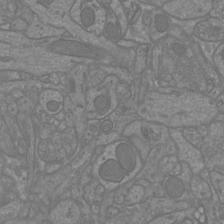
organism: Mouse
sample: Cortical neurons